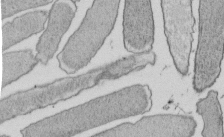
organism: E. coli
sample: Bacterial nucleoid